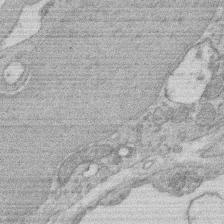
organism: Rat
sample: Salivary granule